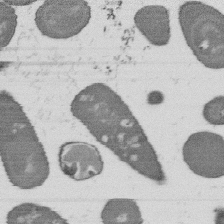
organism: B. subtilis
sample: Bacterial spore